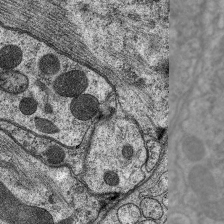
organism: C. elegans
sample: Pharynx